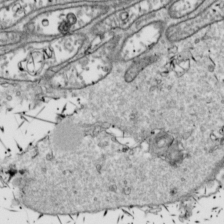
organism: Drosophila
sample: Cell division; meiosis; drosophila spermatocytes